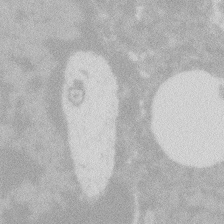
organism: Zebrafish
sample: Macrophage